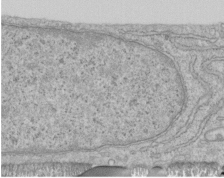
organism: Human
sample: Centriole in RPE cells